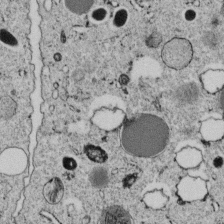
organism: C. elegans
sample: C. elegans embryo early stage